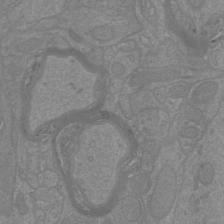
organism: Mouse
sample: Cortical neurons